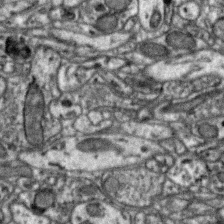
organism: Zebra finch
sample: Brain